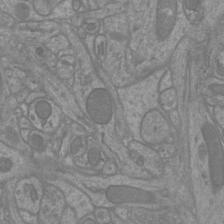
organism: Mouse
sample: Cortical neurons